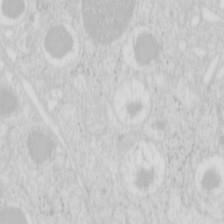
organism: Mouse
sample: Pancreas